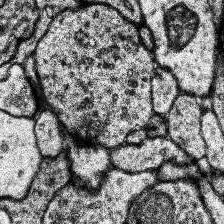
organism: Human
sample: Temporal Lobe